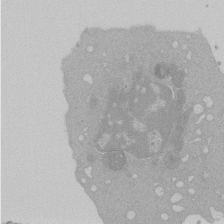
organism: Mouse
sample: Activated Pmel transgenic CD8+ T Cells